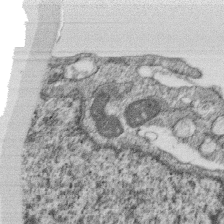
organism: African green monkey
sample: Vero E6 cells infected with SARS-CoV-2